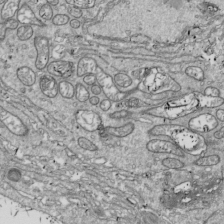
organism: Drosophila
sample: Cell division; meiosis; drosophila spermatocytes